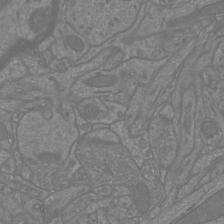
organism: Mouse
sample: Cortical neurons